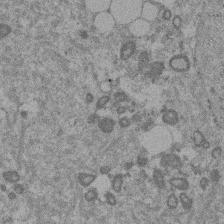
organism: Mouse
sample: Dividing mouse embryo 1 cell stage